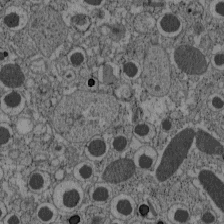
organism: C57BL Mouse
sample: Pancreatic islet